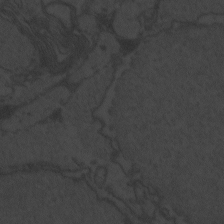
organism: Zebrafish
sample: Macrophage infected with Toxoplasma gondii